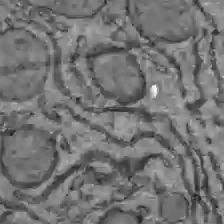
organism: C57BL Mouse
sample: Liver